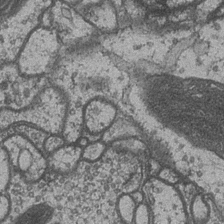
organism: Drosophila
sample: Optic medulla